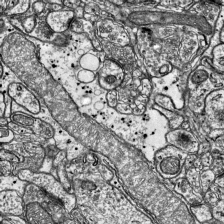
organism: Mouse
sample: Visual Cortex